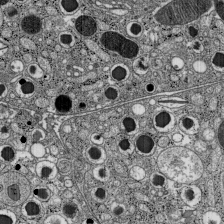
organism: C57BL Mouse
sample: Pancreatic islet